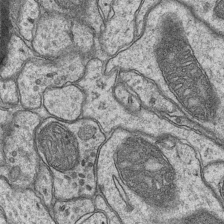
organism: Mouse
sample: CA1 Hippocampus